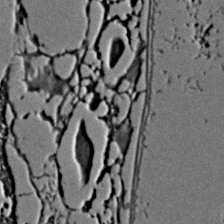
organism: C. elegans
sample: C. elegans embryo